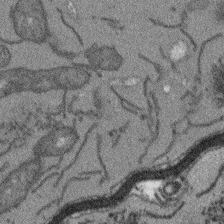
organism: Arabidopsis thaliana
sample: Root tip